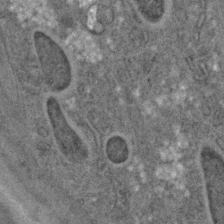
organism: C. elegans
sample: C. elegans embryo